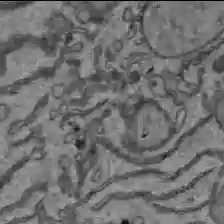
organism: C57BL Mouse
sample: Liver